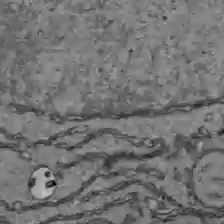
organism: C57BL Mouse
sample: Liver